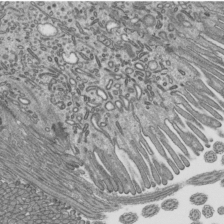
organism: Mouse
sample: Mouse epididymis efferent ductule cilia